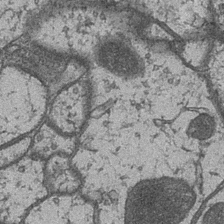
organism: Drosophila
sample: Optic medulla